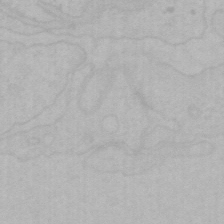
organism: Mouse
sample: Choroid plexus